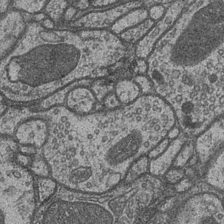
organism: Drosophila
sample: Optic medulla